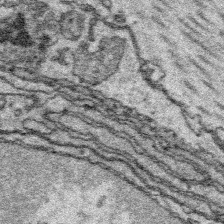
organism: Platynereis dumerilii